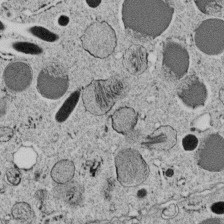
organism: C. elegans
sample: C. elegans embryo early stage